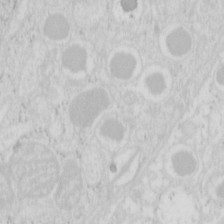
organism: Mouse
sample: Pancreas